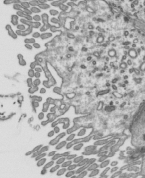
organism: Mouse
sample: Mouse epididymis efferent ductule cilia